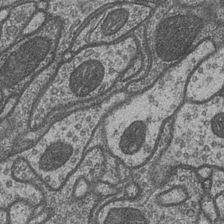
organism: Drosophila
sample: Optic medulla